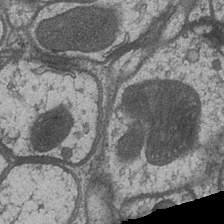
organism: Drosophila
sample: Optic medulla